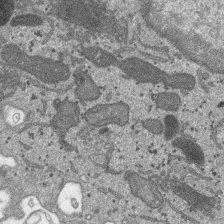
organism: Human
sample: Lung epithelial cells infected with SARS-CoV-2